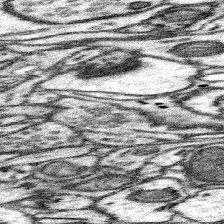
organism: Mouse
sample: Somatosensory cortex neuropil